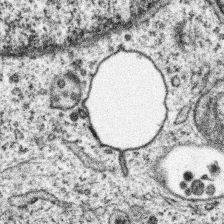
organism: Human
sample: HeLa cells